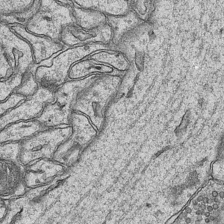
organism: Mouse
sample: CA1 Hippocampus